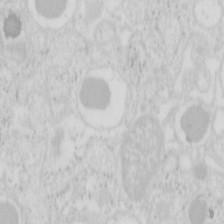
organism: Mouse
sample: Pancreas